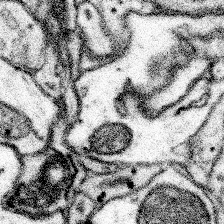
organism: Mouse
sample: Somatosensory cortex neuropil